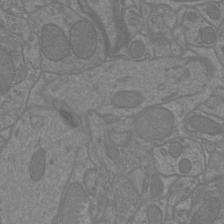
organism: Mouse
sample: Cortical neurons